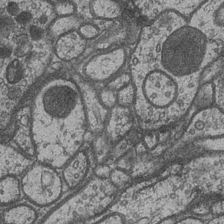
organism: Drosophila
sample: Optic medulla